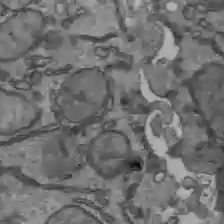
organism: C57BL Mouse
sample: Liver